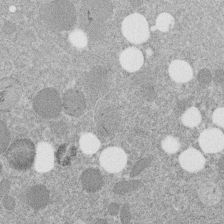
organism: C. elegans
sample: C. elegans embryo early stage